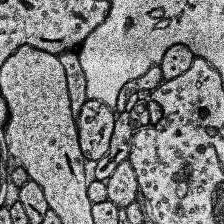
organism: Human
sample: Temporal Lobe